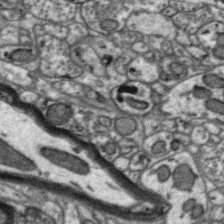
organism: Zebra finch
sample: Brain